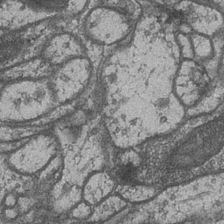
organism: Drosophila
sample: Optic medulla